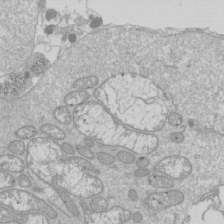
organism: Drosophila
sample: Cell division; meiosis; drosophila spermatocytes